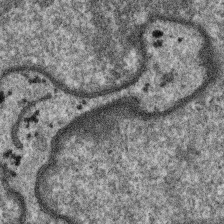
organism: Human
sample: Lung epithelial cells infected with SARS-CoV-2